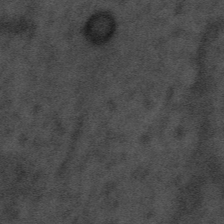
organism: Tuwongella immobilis